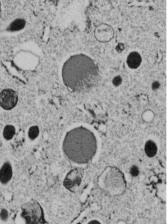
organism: C. elegans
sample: C. elegans embryo early stage